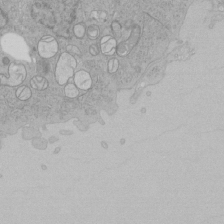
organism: Human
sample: Mitochondria in HCT116 cells